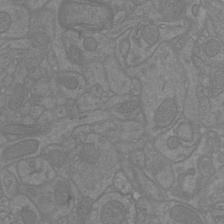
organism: Mouse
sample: Cortical neurons